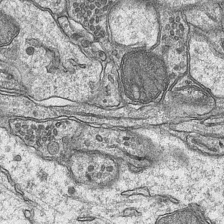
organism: Mouse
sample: CA1 Hippocampus